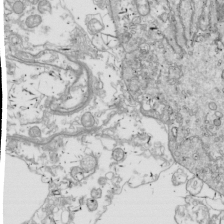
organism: Drosophila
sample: Cell division; meiosis; drosophila spermatocytes